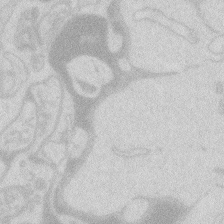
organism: Zebrafish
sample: Macrophage